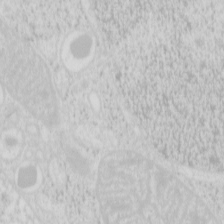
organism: Mouse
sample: Pancreas